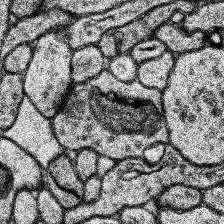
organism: Human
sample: Temporal Lobe